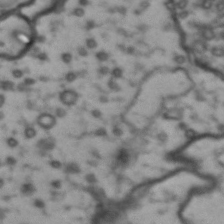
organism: Drosophila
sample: Brain